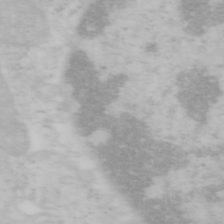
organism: Mouse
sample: OT-I killer T cells with ID8 ovarian cancer cells